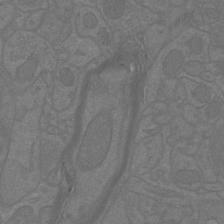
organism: Mouse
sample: Cortical neurons